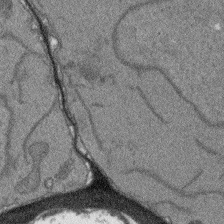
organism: Arabidopsis thaliana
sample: Root tip